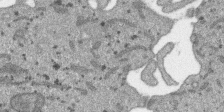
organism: Human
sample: Lung epithelial cells infected with SARS-CoV-2